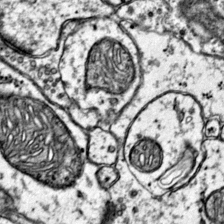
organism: Mouse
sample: Primary visual cortex